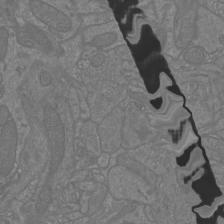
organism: Mouse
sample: Cortical neurons